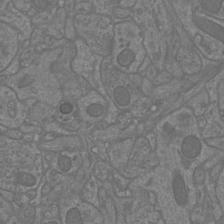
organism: Mouse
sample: Cortical neurons